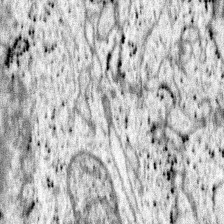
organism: Human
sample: HeLa cells